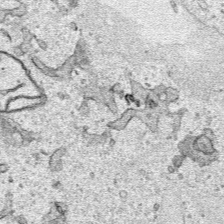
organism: Human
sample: Mitochondria in HCT116 cells